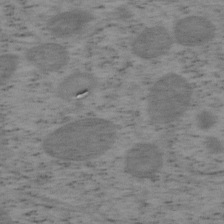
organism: Mouse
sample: OT-I killer T cells with ID8 ovarian cancer cells